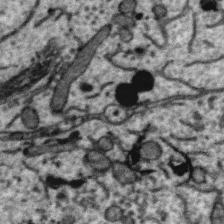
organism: Zebra finch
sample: Brain